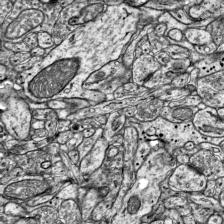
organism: Mouse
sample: Visual Cortex